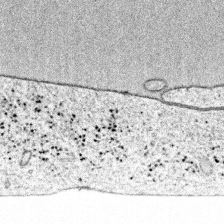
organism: Human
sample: HeLa cells